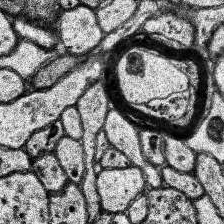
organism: Human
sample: Temporal Lobe